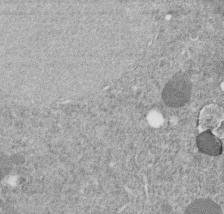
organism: C. elegans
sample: C. elegans embryo early stage